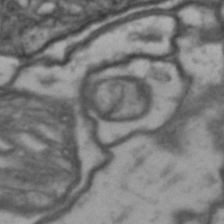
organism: Drosophila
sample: Brain